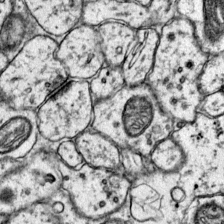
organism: Mouse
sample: Primary visual cortex